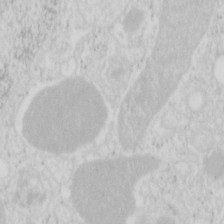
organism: Mouse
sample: Pancreas